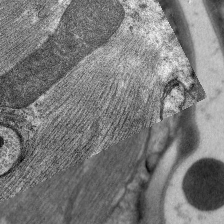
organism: C. elegans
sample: Pharynx